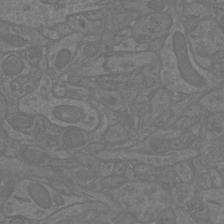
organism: Mouse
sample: Cortical neurons